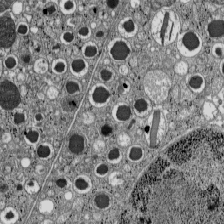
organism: C57BL Mouse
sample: Pancreatic islet